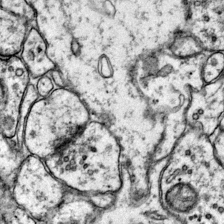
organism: Mouse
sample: Primary visual cortex